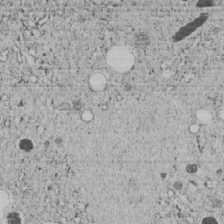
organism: C. elegans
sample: C. elegans embryo early stage